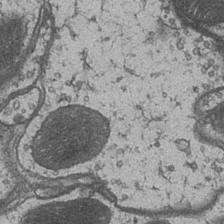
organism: Drosophila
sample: Optic medulla